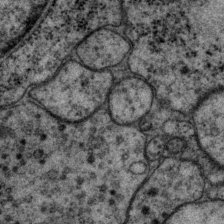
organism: P. pacificus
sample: Pharynx